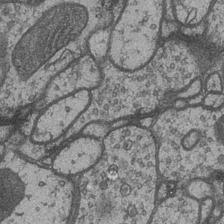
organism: Drosophila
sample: Optic medulla